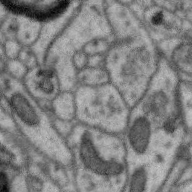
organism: Zebra finch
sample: Brain